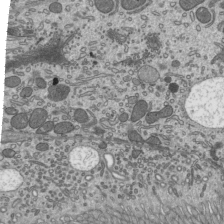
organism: Mouse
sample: Mouse epididymis efferent ductule cilia